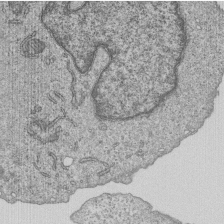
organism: Human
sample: MDA-MB-231 cells